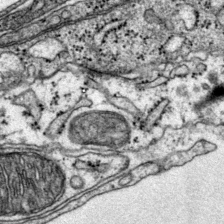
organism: Mouse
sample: Primary visual cortex